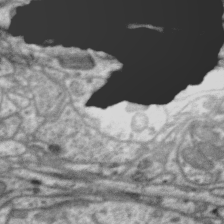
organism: Zebra finch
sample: Brain